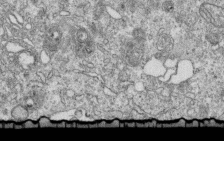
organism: Human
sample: HeLa cell HIV synapse